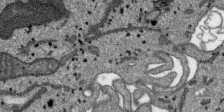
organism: Human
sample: Lung epithelial cells, uninfected (mock) control